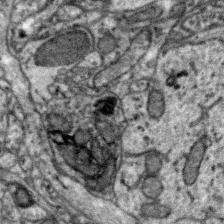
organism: Zebra finch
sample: Brain